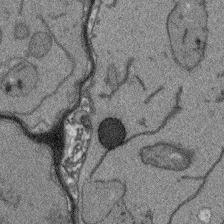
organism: Arabidopsis thaliana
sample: Root tip